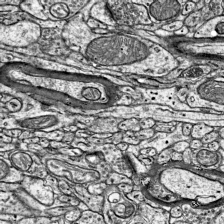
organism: Mouse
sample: Visual Cortex